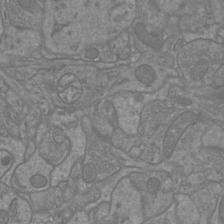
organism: Mouse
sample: Cortical neurons